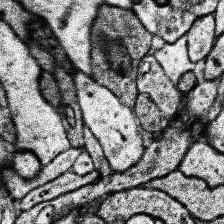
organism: Human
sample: Temporal Lobe